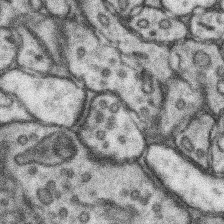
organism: Mouse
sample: Somatosensory cortex neuropil